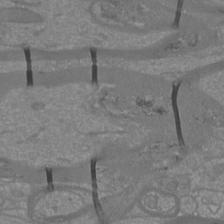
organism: Mouse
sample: Cortical neurons